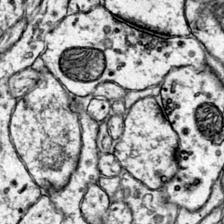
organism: Mouse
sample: Primary visual cortex